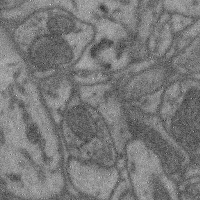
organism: Mouse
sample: Cerebral cortex